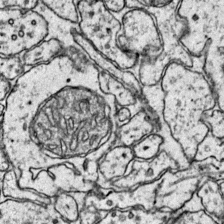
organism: Mouse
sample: Primary visual cortex